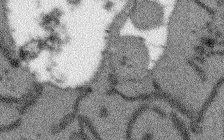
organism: Arabidopsis thaliana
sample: Root tip